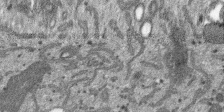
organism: Human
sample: Lung epithelial cells infected with SARS-CoV-2